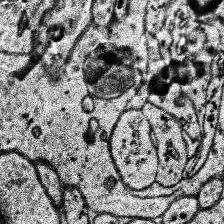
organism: Human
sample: Temporal Lobe